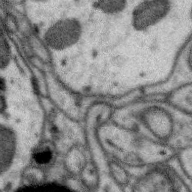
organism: Zebra finch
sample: Brain